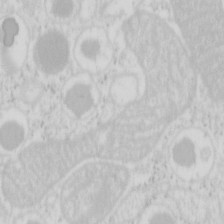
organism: Mouse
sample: Pancreas